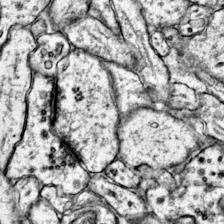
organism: Mouse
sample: Primary visual cortex